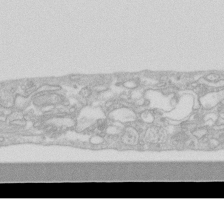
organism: Human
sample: Fibroblast cells